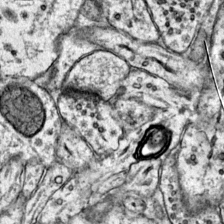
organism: Mouse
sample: Primary visual cortex